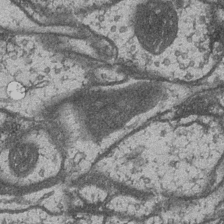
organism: Drosophila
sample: Optic medulla